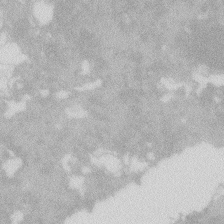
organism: Zebrafish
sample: Macrophage